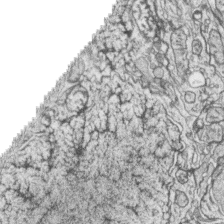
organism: Zebrafish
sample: synaptic ribbons in rod cells and cone cells